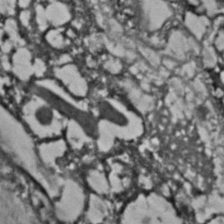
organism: C. elegans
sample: C. elegans embryo